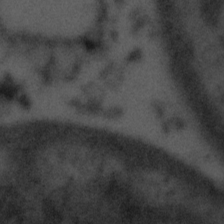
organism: Tuwongella immobilis